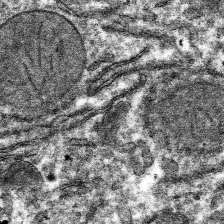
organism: Mouse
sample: Mouse hepatocytes